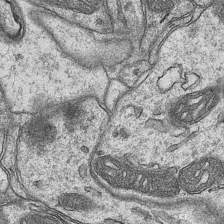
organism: Mouse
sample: CA1 Hippocampus